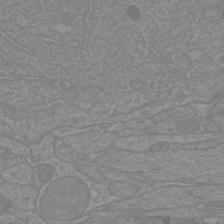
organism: Mouse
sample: Cortical neurons